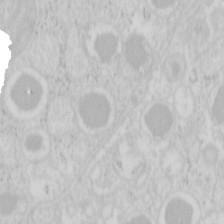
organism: Mouse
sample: Pancreas